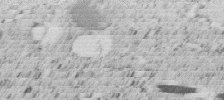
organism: C. elegans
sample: C. elegans embryo early stage